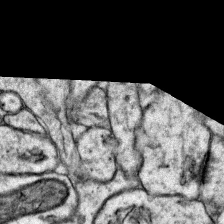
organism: Mouse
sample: Primary visual cortex